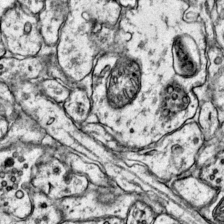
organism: Mouse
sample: Primary visual cortex